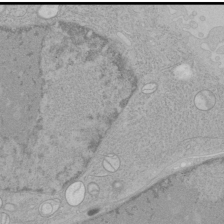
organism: Human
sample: Mitochondria in HCT116 cells